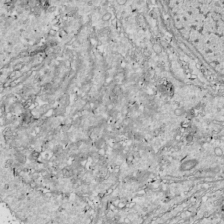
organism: Drosophila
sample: Cell division; meiosis; drosophila spermatocytes